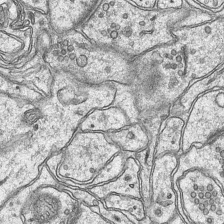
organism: Mouse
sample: CA1 Hippocampus